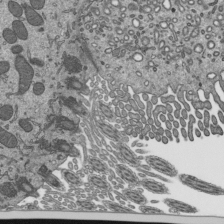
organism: Mouse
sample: Mouse epididymis efferent ductule cilia